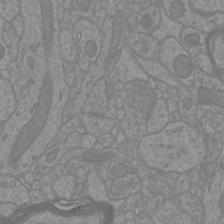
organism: Mouse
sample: Cortical neurons